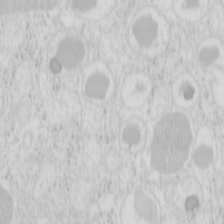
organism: Mouse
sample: Pancreas